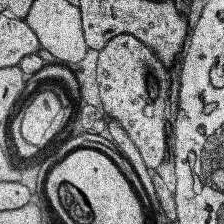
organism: Human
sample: Temporal Lobe